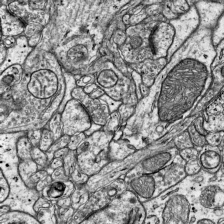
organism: Mouse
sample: Visual Cortex